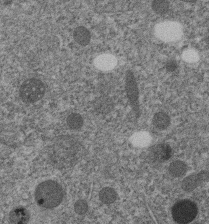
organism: C. elegans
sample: C. elegans embryo early stage